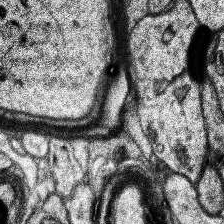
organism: Human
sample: Temporal Lobe